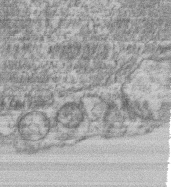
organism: Mouse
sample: T cell stromal cell synapse